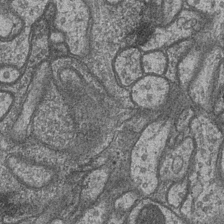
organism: Drosophila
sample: Optic medulla